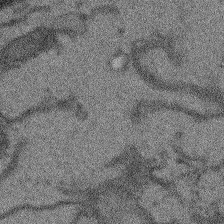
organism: Arabidopsis thaliana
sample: Root tip